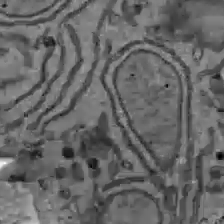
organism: C57BL Mouse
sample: Liver